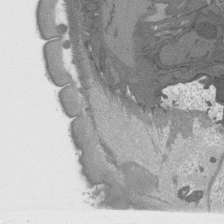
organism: C. elegans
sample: AFD neurons C. elegans